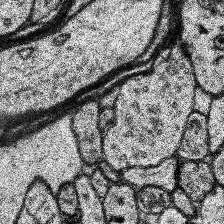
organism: Human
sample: Temporal Lobe